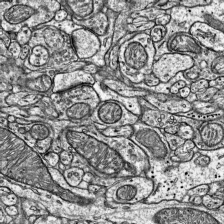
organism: Mouse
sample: Visual Cortex